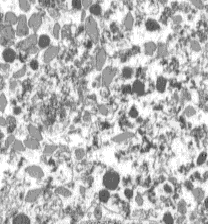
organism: C57BL Mouse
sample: Pancreatic islet